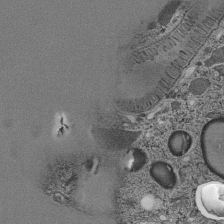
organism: C. elegans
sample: C. elegans pharynx